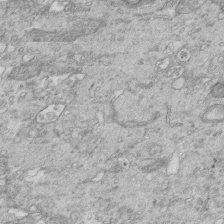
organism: Mouse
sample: Multiciliated cells